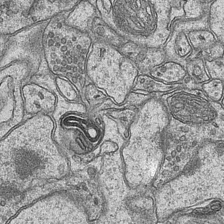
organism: Mouse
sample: CA1 Hippocampus